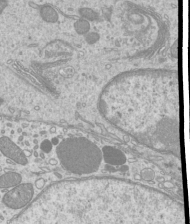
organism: Mouse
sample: Cilia; mouse epididymis